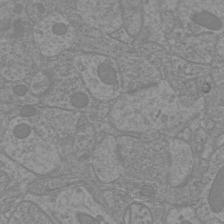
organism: Mouse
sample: Cortical neurons